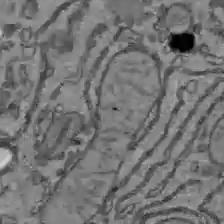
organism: C57BL Mouse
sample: Liver